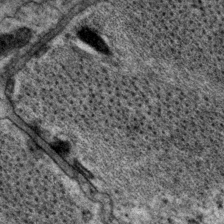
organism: P. pacificus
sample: Pharynx